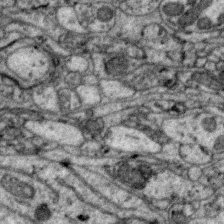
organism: Zebra finch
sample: Brain